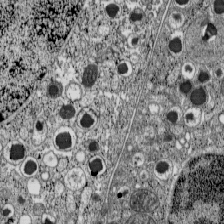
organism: C57BL Mouse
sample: Pancreatic islet